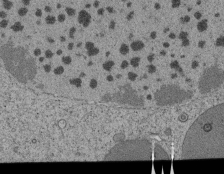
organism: Tetrahymena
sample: Cilia in tetrahymena